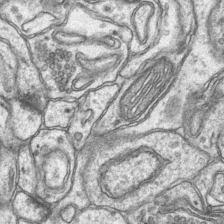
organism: Mouse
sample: CA1 Hippocampus